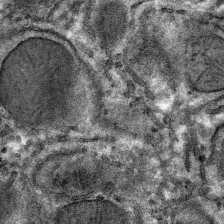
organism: Mouse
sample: Mouse hepatocytes